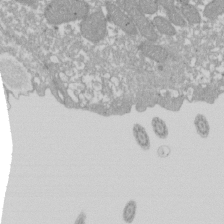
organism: Xenopus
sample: Cilia; centrioles in frog embryo cells